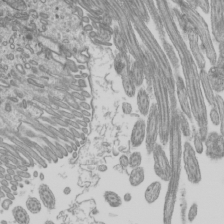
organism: Mouse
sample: Cilia; mouse epididymis